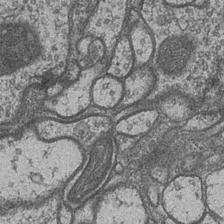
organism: Drosophila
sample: Optic medulla